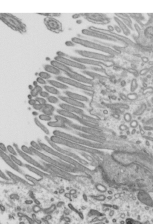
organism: Mouse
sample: Mouse epididymis efferent ductule cilia